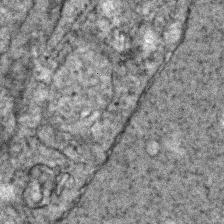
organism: Zebrafish